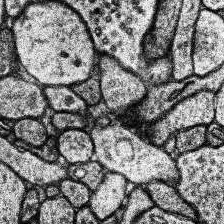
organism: Human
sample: Temporal Lobe